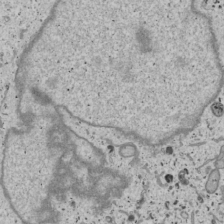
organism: Human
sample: Mitochondria in U2OS cells